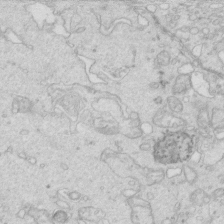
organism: Mouse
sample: Multiciliated cells